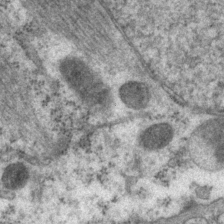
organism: P. pacificus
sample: Pharynx